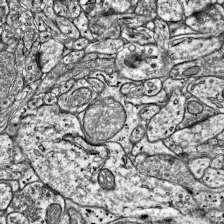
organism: Mouse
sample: Visual Cortex